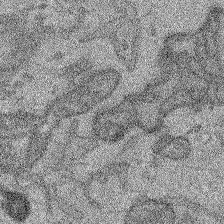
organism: Human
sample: HeLa cells